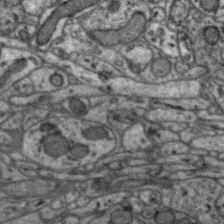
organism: Zebra finch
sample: Brain